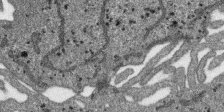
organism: Human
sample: Lung epithelial cells infected with SARS-CoV-2